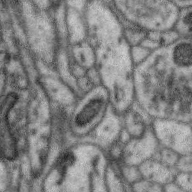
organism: Zebra finch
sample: Brain